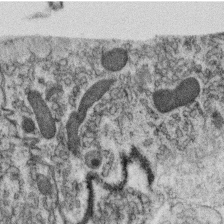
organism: C. elegans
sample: C. elegans oocyte; sperm cells